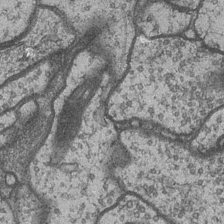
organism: Drosophila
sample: Optic medulla